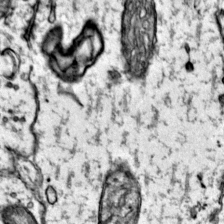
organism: Mouse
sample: Primary visual cortex